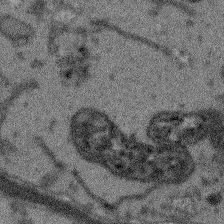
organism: Arabidopsis thaliana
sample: Root tip